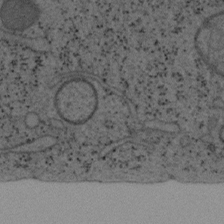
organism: Human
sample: HeLa cells